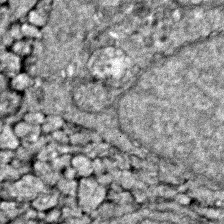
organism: Zebrafish